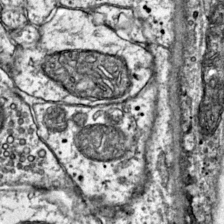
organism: Mouse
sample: Primary visual cortex